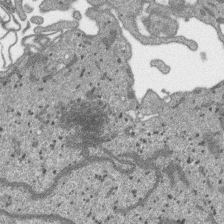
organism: Human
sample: Lung epithelial cells infected with SARS-CoV-2